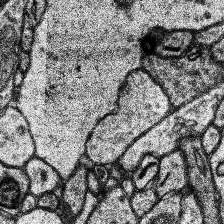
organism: Human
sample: Temporal Lobe